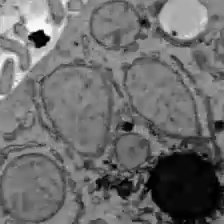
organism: C57BL Mouse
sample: Liver